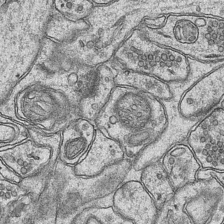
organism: Mouse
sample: CA1 Hippocampus